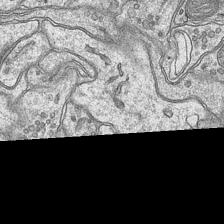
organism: Mouse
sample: CA1 Hippocampus